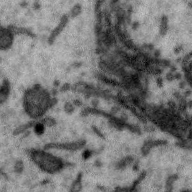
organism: Zebra finch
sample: Brain